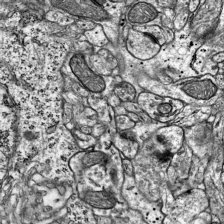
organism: Mouse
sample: Visual Cortex